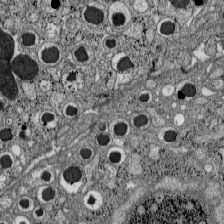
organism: C57BL Mouse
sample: Pancreatic islet